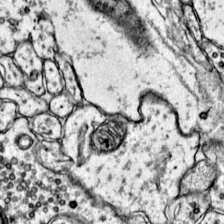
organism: Mouse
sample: Primary visual cortex